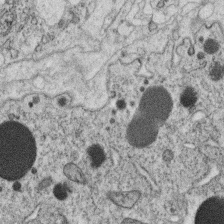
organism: C. elegans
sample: C. elegans oocyte; sperm cells